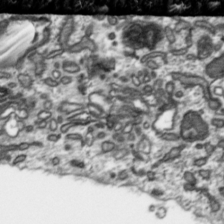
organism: Toxoplasma gondii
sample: Parasites in a vacuole inside a host cell